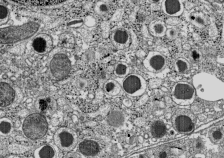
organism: C57BL Mouse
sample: Pancreatic islet